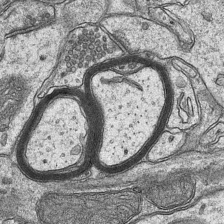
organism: Mouse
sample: CA1 Hippocampus